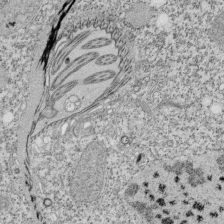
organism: Tetrahymena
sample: Cilia in tetrahymena